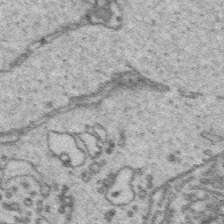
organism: Platynereis dumerilii